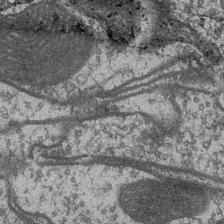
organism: Drosophila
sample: Optic medulla